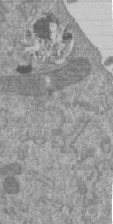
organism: Mouse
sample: ED-1 cell nuclei; centrioles